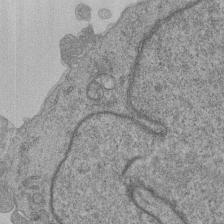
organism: Human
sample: MDA-MB-231 cells